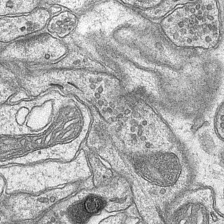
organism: Mouse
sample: CA1 Hippocampus